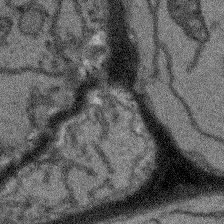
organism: Arabidopsis thaliana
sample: Root tip